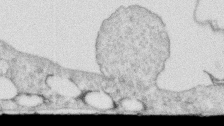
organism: Human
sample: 1205lu cells